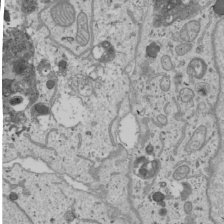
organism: Human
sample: Mitochondria in U2OS cells